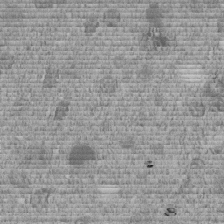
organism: C. elegans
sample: C. elegans embryo early stage